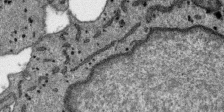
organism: Human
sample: Lung epithelial cells, uninfected (mock) control